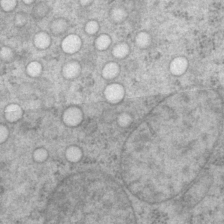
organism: P. pacificus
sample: Pharynx